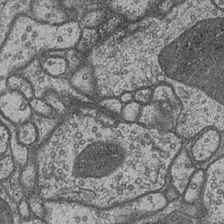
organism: Drosophila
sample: Optic medulla